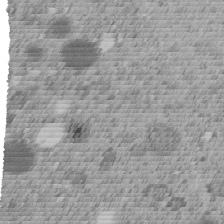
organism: C. elegans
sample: C. elegans embryo early stage